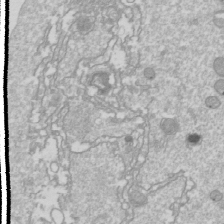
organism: Drosophila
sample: Cell division; meiosis; drosophila spermatocytes